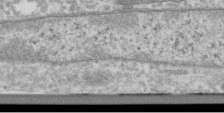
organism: Human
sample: Centriole in RPE cells